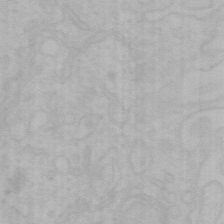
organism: Mouse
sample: Choroid plexus